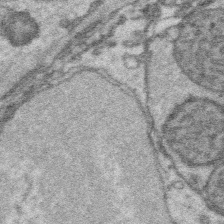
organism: Platynereis dumerilii